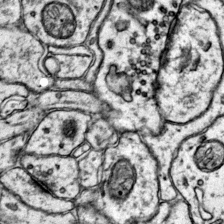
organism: Mouse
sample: Primary visual cortex